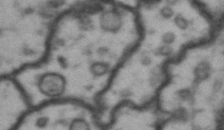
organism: Drosophila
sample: Brain